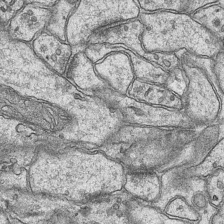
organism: Mouse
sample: CA1 Hippocampus